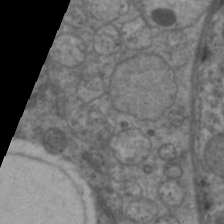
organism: C. elegans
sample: Pharynx